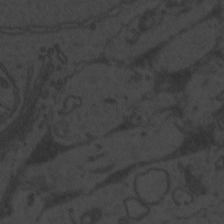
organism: Zebrafish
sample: Macrophage infected with Toxoplasma gondii